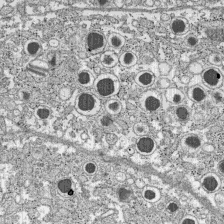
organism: C57BL Mouse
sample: Pancreatic islet